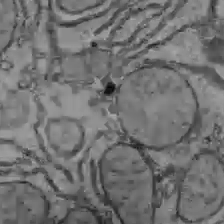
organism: C57BL Mouse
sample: Liver